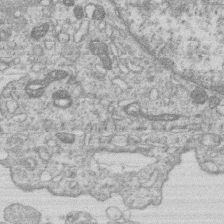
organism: Human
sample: Macrophage cells